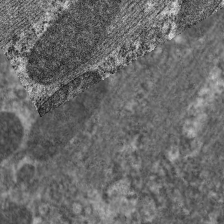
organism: C. elegans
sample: Pharynx